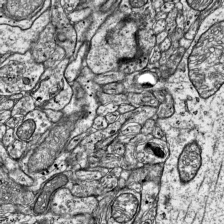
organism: Mouse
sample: Visual Cortex